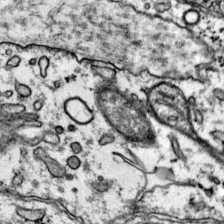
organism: Mouse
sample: Primary visual cortex